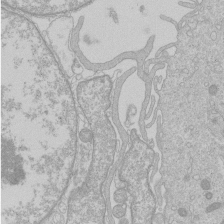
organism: Human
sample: Macrophage cells